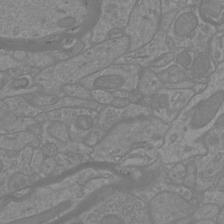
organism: Mouse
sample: Cortical neurons